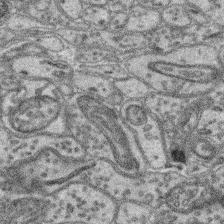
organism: Mouse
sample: Retina